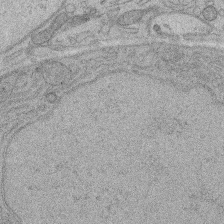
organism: Rat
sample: Salivary granule